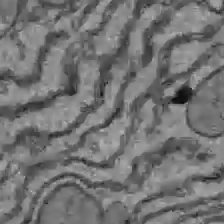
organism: C57BL Mouse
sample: Liver